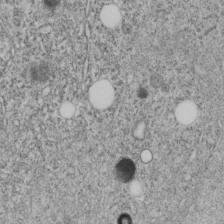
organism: C. elegans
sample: C. elegans embryo early stage